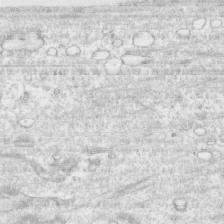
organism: Human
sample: CRL-1474